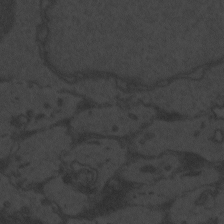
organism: Zebrafish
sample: Macrophage infected with Toxoplasma gondii